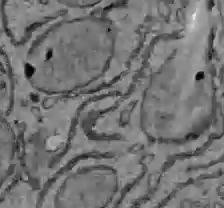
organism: C57BL Mouse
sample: Liver